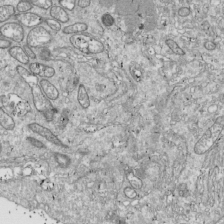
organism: Drosophila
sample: Cell division; meiosis; drosophila spermatocytes